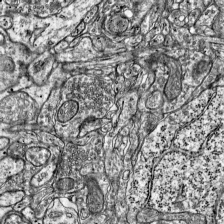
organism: Mouse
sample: Visual Cortex